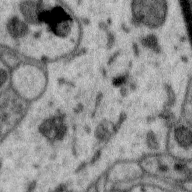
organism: Zebra finch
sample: Brain